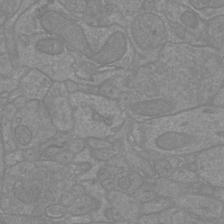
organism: Mouse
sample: Cortical neurons